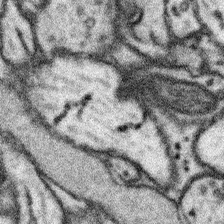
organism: Mouse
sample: Somatosensory cortex neuropil